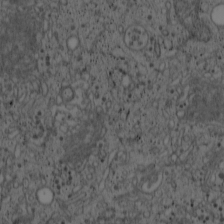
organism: African green monkey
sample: COS-7 cells